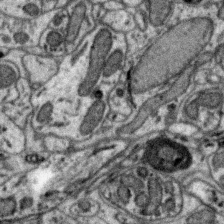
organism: Zebra finch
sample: Brain